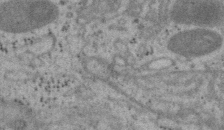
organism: Human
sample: HeLa cells